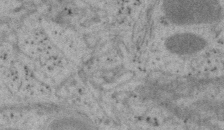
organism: Human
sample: HeLa cells